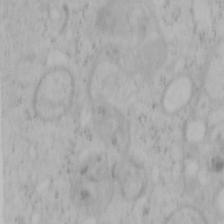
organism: Mouse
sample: OT-I killer T cells with ID8 ovarian cancer cells